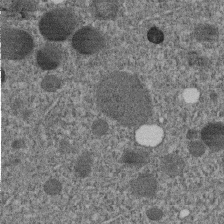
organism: C. elegans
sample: C. elegans embryo early stage